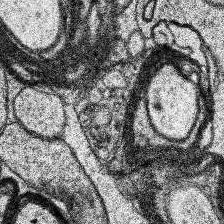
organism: Human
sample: Temporal Lobe